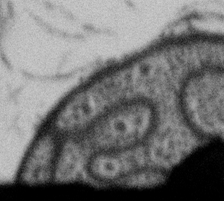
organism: Gemmata obscuriglobus